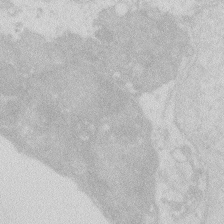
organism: Zebrafish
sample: Macrophage